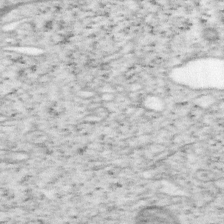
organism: Mouse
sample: OT-I killer T cells with ID8 ovarian cancer cells